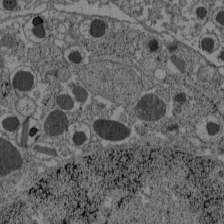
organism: C57BL Mouse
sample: Pancreatic islet